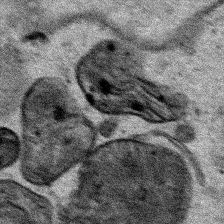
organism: Human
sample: Mitochondria in HCT116 cells